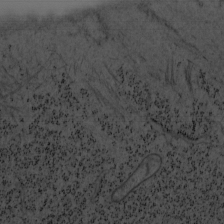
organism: Mouse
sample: OT-I killer T cells with ID8 ovarian cancer cells